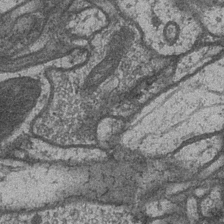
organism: Drosophila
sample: Optic medulla